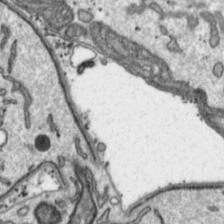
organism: Toxoplasma gondii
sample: Parasites in a vacuole inside a host cell